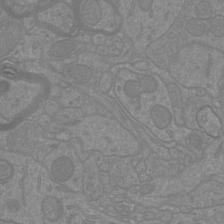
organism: Mouse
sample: Cortical neurons